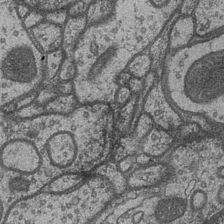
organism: Drosophila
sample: Optic medulla